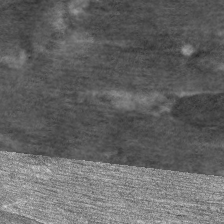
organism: C. elegans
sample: Pharynx